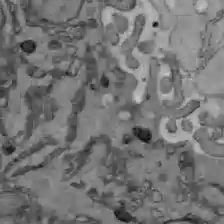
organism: C57BL Mouse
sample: Liver